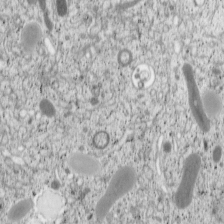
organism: African green monkey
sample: COS-7 cells